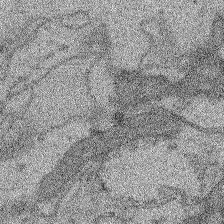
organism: Human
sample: HeLa cells